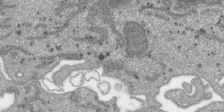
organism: Human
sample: Lung epithelial cells infected with SARS-CoV-2